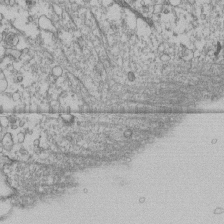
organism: Human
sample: Fibroblast cells